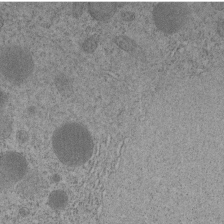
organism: C. elegans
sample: C. elegans embryo early stage